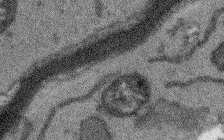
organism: Arabidopsis thaliana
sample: Root tip